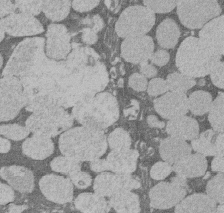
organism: Rat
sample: Salivary granule